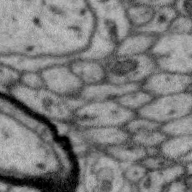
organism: Zebra finch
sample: Brain